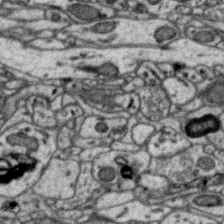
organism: Zebra finch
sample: Brain